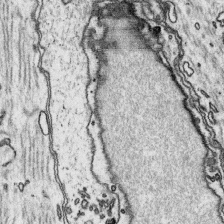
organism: Platynereis dumerilii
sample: Parapodia